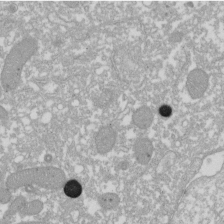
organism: Xenopus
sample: Cilia; centrioles in frog embryo cells